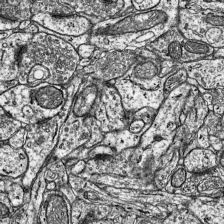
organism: Mouse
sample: Visual Cortex